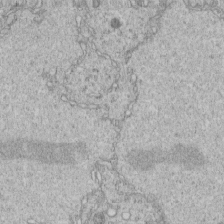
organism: C. elegans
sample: C. elegans embryo early stage